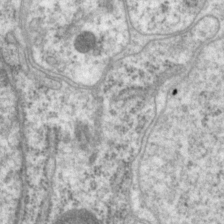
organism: P. pacificus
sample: Pharynx